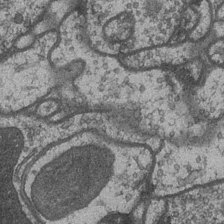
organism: Drosophila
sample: Optic medulla